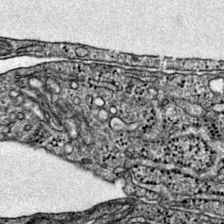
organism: Mouse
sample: Primary visual cortex